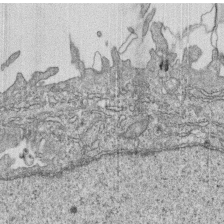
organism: Human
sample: HeLa cell HIV synapse